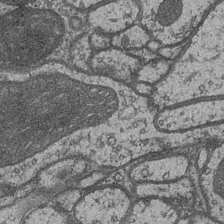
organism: Drosophila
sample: Optic medulla